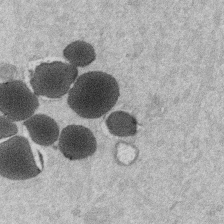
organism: Mouse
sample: Dividing mouse embryo 1 cell stage